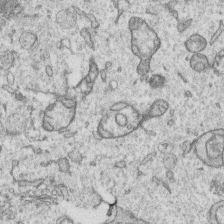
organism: Human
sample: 1205lu cells